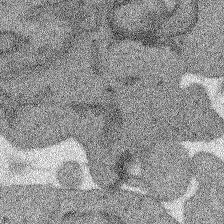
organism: Human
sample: HeLa cells